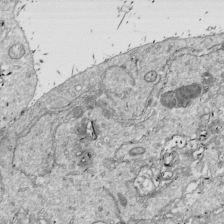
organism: Drosophila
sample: Cell division; meiosis; drosophila spermatocytes